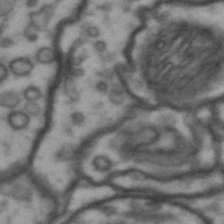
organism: Drosophila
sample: Brain